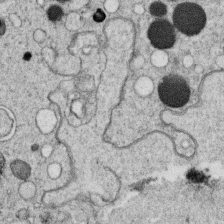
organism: C. elegans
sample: C. elegans oocyte; sperm cells